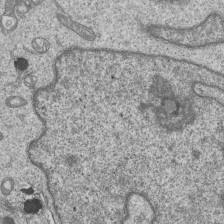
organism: Human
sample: MDA-MB-231 cells